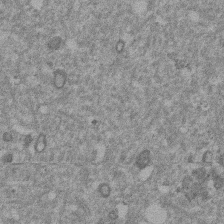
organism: Mouse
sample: Dividing mouse embryo 1 cell stage